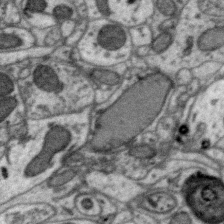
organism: Zebra finch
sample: Brain